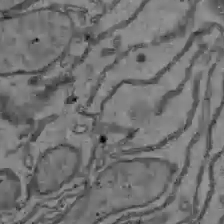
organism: C57BL Mouse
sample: Liver